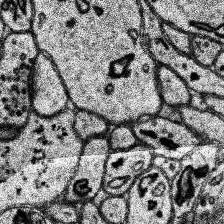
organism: Human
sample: Temporal Lobe